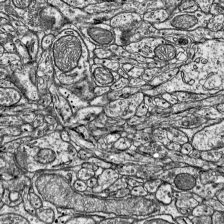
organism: Mouse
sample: Visual Cortex